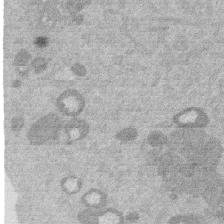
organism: Mouse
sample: Dividing mouse embryo 1 cell stage